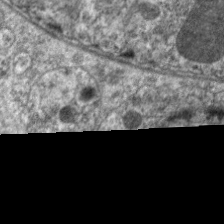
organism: C. elegans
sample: Pharynx